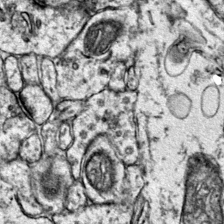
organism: Mouse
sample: Primary visual cortex